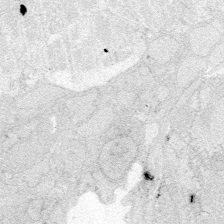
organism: Zebrafish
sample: Whole-Brain